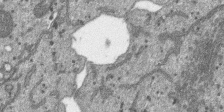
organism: Human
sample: Lung epithelial cells infected with SARS-CoV-2